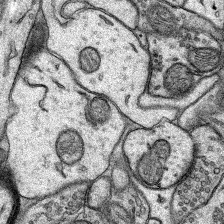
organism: Rat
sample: Hippocampus